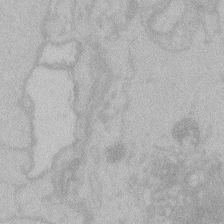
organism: Zebrafish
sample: Macrophage infected with Toxoplasma gondii